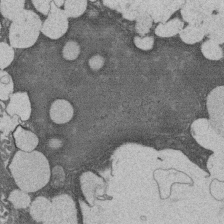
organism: Rat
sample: Salivary granule